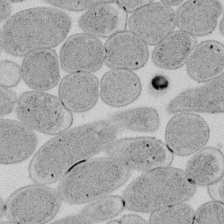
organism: E. coli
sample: Bacterial nucleoid